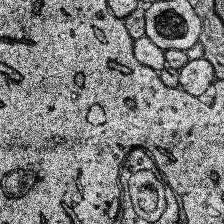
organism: Human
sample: Temporal Lobe